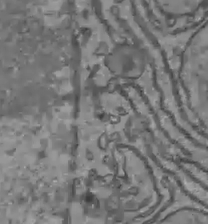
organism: C57BL Mouse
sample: Liver